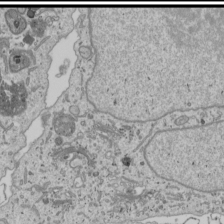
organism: Human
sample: Mitochondria in U2OS cells